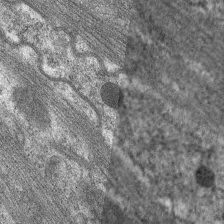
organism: C. elegans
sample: Pharynx